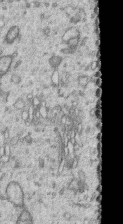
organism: Human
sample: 1205lu cells